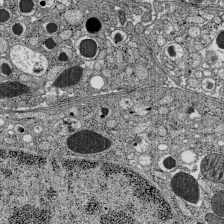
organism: C57BL Mouse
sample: Pancreatic islet